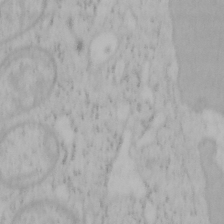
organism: Mouse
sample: OT-I killer T cells with ID8 ovarian cancer cells